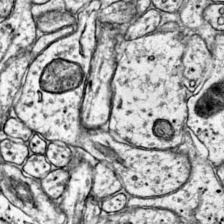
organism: Mouse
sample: Primary visual cortex